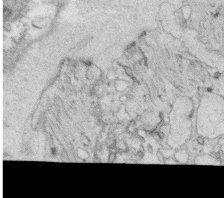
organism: C. elegans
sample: C. elegans oocyte; sperm cells